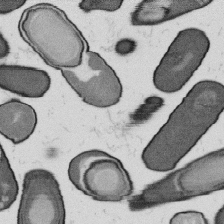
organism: B. subtilis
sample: Bacterial spore